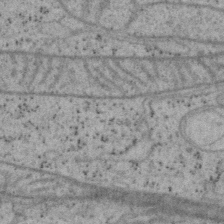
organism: Human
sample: HeLa cells